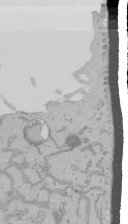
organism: Mouse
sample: Cancer cell death in ED-1 cells